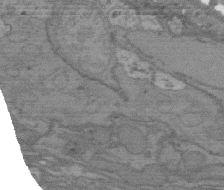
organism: C. elegans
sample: AFD neurons C. elegans